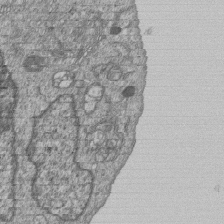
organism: Human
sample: MDA-MB-231 cells